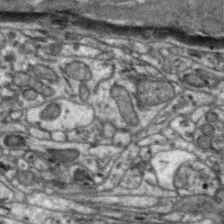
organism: Zebra finch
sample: Brain